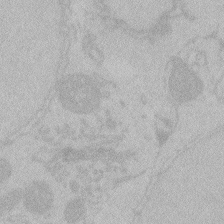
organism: Zebrafish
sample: Macrophage infected with Toxoplasma gondii